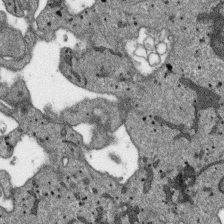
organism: Human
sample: Lung epithelial cells, uninfected (mock) control